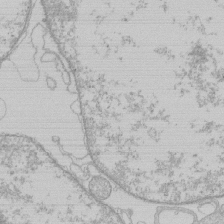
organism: Human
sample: Macrophage cells